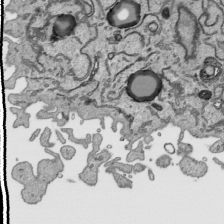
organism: Human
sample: Mitochondria in HCT116 cells